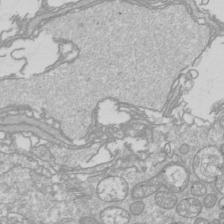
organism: Drosophila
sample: Cell division; meiosis; drosophila spermatocytes